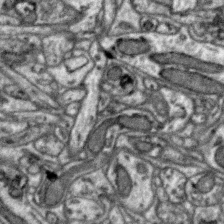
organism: Zebra finch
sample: Brain